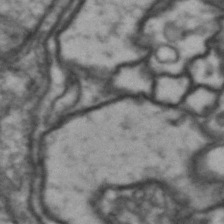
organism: Drosophila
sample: Brain